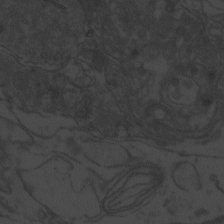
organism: Zebrafish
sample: Macrophage infected with Toxoplasma gondii